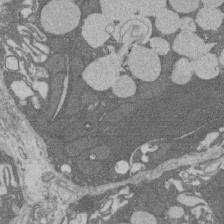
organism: Rat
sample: Salivary granule